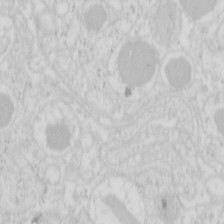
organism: Mouse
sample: Pancreas